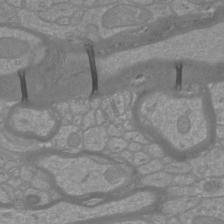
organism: Mouse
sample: Cortical neurons